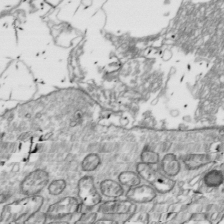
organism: Drosophila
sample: Cell division; meiosis; drosophila spermatocytes